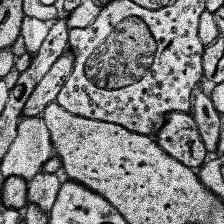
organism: Human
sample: Temporal Lobe